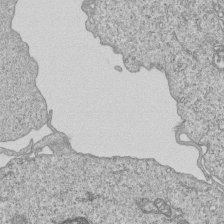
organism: Human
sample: MDA-MB-231 cells